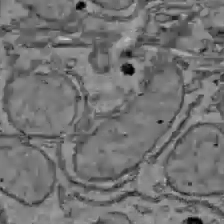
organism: C57BL Mouse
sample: Liver